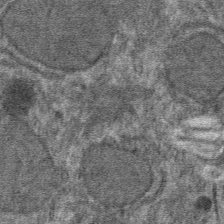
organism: Mouse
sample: Mouse hepatocytes